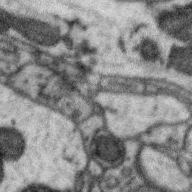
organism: Zebra finch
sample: Brain